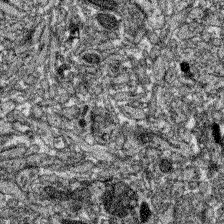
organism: Zebrafish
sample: Larval olfactory bulb